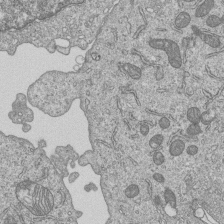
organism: Human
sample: MDA-MB-231 cells